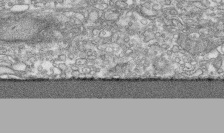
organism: Human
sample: CRL-1474